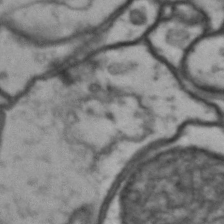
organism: Drosophila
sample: Brain